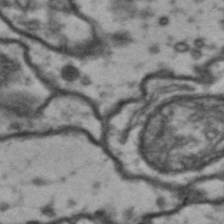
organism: Drosophila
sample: Brain